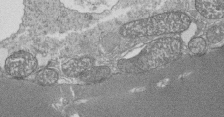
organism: Tetrahymena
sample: Cilia in tetrahymena